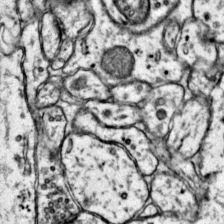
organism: Mouse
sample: Primary visual cortex